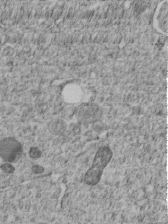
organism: C. elegans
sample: C. elegans embryo early stage